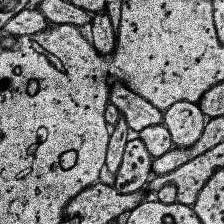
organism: Human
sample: Temporal Lobe